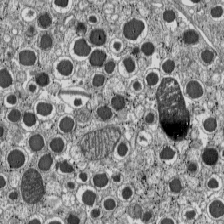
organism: C57BL Mouse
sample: Pancreatic islet